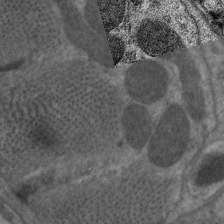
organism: C. elegans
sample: Pharynx